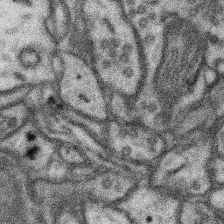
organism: Mouse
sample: Somatosensory cortex neuropil